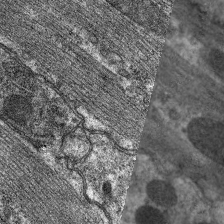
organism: C. elegans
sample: Pharynx